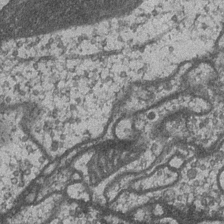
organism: Drosophila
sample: Optic medulla